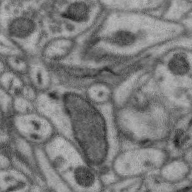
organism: Zebra finch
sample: Brain